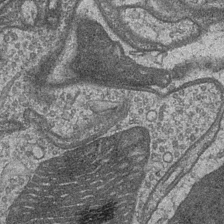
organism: Drosophila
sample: Optic medulla